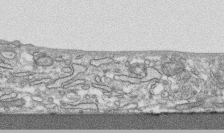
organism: Human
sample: CRL-1474